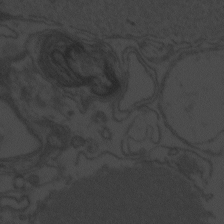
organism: Zebrafish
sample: Macrophage infected with Toxoplasma gondii